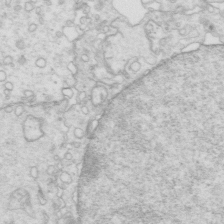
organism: Mouse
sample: Multiciliated cells